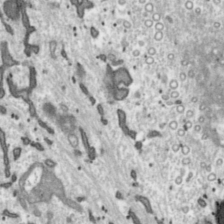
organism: Toxoplasma gondii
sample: Parasites in a vacuole inside a host cell